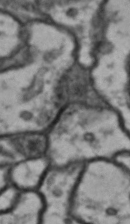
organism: Drosophila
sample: Brain